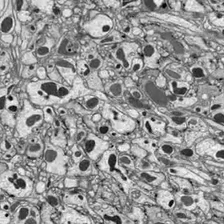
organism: Drosophila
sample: Optic lobe